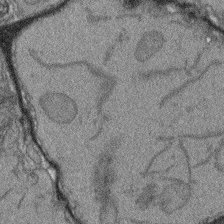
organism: Arabidopsis thaliana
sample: Root tip